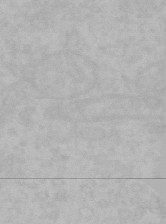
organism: Mouse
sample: Choroid plexus